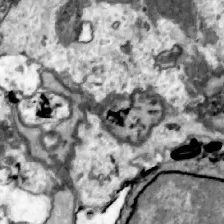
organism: Zebrafish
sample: Actinotrichia fibers